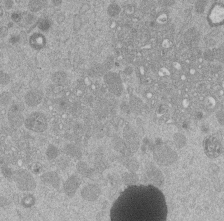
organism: Mouse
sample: Dividing mouse embryo 1 cell stage